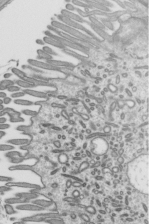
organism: Mouse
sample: Mouse epididymis efferent ductule cilia